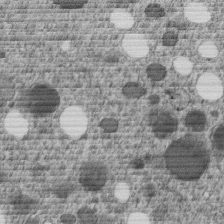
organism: C. elegans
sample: C. elegans embryo early stage